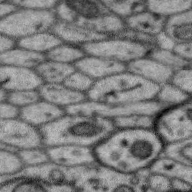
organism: Zebra finch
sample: Brain